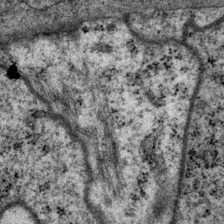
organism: P. pacificus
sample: Pharynx